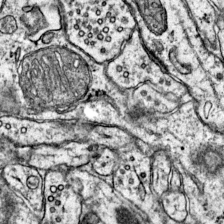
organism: Mouse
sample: Primary visual cortex